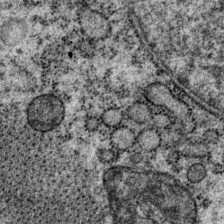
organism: P. pacificus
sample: Pharynx